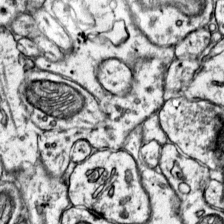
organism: Mouse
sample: Primary visual cortex